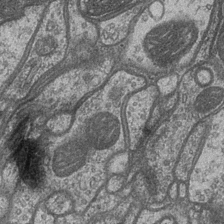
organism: Drosophila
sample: Optic medulla